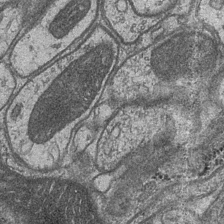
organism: Drosophila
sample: Optic medulla